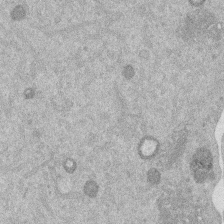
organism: Mouse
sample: Dividing mouse embryo 1 cell stage